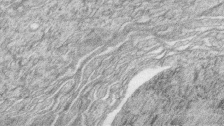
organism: Zebrafish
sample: synaptic ribbons in rod cells and cone cells